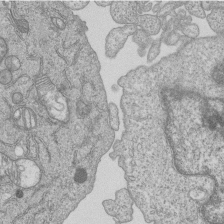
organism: Human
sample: MDA-MB-231 cells